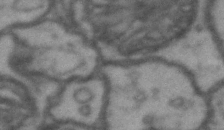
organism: Drosophila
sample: Brain